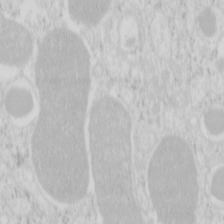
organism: Mouse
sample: Pancreas